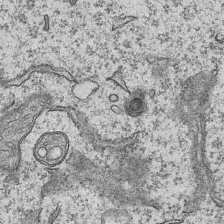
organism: Mouse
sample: CA1 Hippocampus